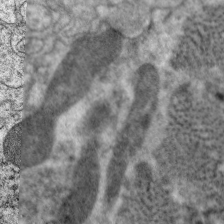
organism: C. elegans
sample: Pharynx